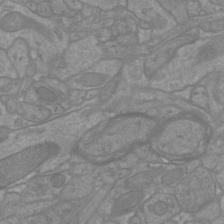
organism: Mouse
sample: Cortical neurons